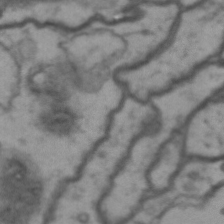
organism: Drosophila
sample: Brain